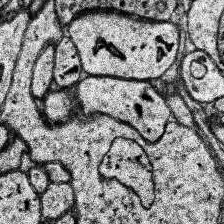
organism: Human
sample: Temporal Lobe